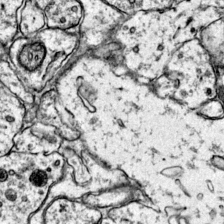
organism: Mouse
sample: Primary visual cortex